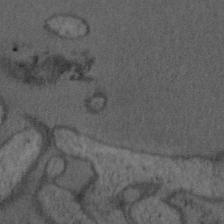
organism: Human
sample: HeLa cells